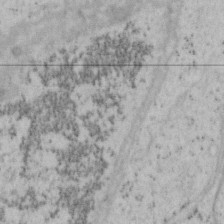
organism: Human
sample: HeLa cells